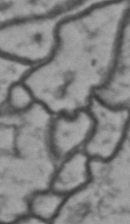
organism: Drosophila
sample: Brain